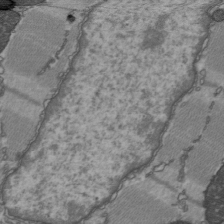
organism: C57BL Mouse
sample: Heart